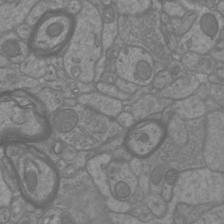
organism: Mouse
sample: Cortical neurons